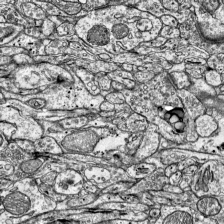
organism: Mouse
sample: Visual Cortex